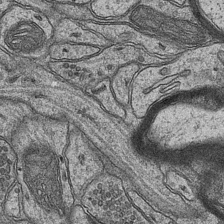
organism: Mouse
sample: CA1 Hippocampus